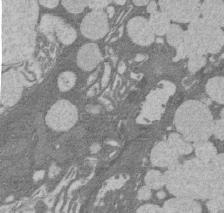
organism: Rat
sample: Salivary granule